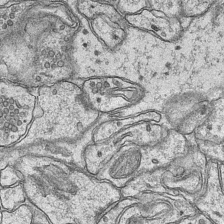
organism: Mouse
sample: CA1 Hippocampus